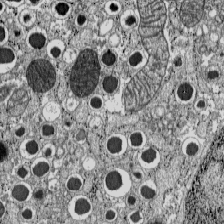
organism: C57BL Mouse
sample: Pancreatic islet